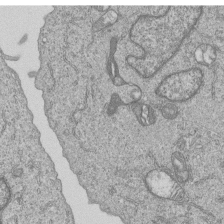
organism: Human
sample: MDA-MB-231 cells